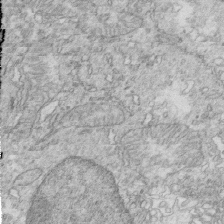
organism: Mouse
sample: Multiciliated cells